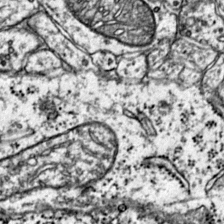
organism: Mouse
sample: Primary visual cortex